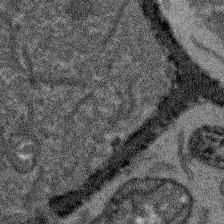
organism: Arabidopsis thaliana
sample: Root tip